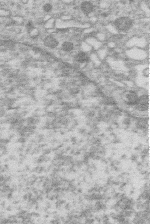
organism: Human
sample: Macrophage cells